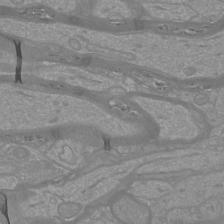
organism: Mouse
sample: Cortical neurons